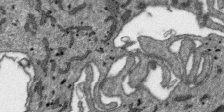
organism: Human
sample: Lung epithelial cells, uninfected (mock) control